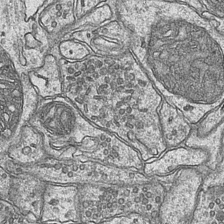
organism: Mouse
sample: CA1 Hippocampus